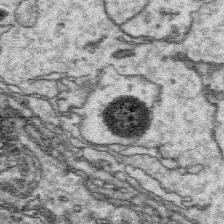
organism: Platynereis dumerilii